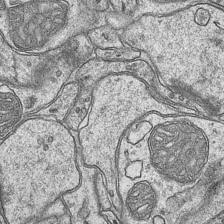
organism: Mouse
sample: CA1 Hippocampus